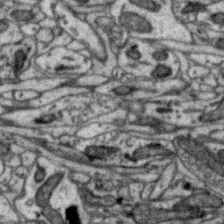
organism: Zebra finch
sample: Brain